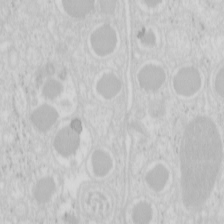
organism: Mouse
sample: Pancreas